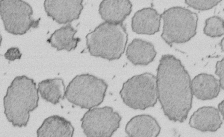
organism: E. coli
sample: Bacterial nucleoid